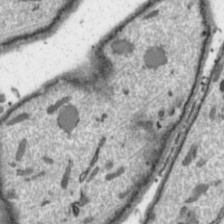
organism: Toxoplasma gondii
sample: Parasites in a vacuole inside a host cell